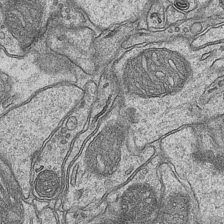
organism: Mouse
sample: CA1 Hippocampus